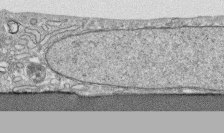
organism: Human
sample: CRL-1474